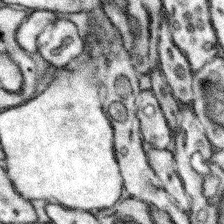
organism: Mouse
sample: Somatosensory cortex neuropil